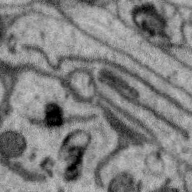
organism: Zebra finch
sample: Brain